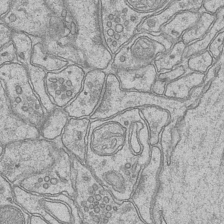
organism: Mouse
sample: CA1 Hippocampus